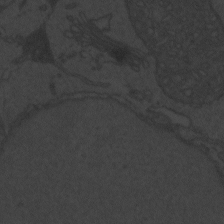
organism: Zebrafish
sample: Macrophage infected with Toxoplasma gondii